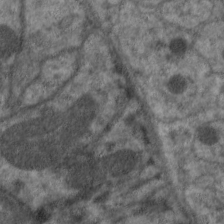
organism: C. elegans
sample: Pharynx